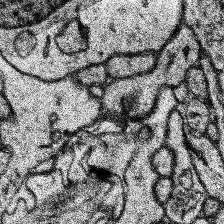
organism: Human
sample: Temporal Lobe